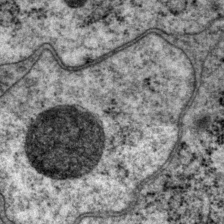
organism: P. pacificus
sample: Pharynx